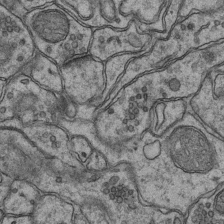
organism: Mouse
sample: CA1 Hippocampus